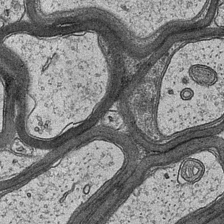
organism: Mouse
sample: CA1 Hippocampus